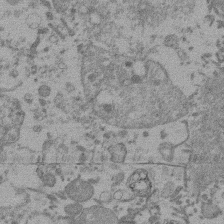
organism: Mouse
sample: Dividing mouse embryo 1 cell stage